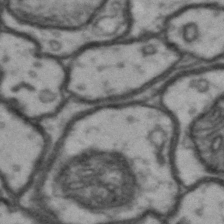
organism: Drosophila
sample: Brain